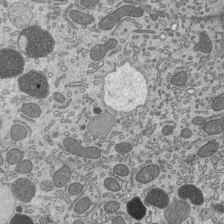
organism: Mouse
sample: Mouse epididymis efferent ductule cilia